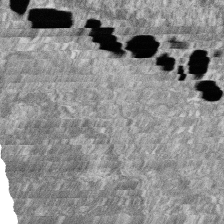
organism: Zebrafish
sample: Cilia; retinal pigment epithelium